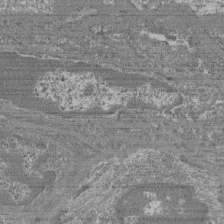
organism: Mouse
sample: Glomerulus